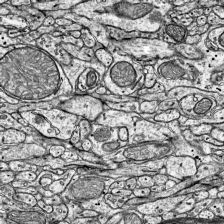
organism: Mouse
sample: Visual Cortex